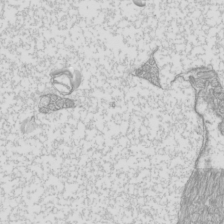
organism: Mouse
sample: Cilia; mouse epididymis